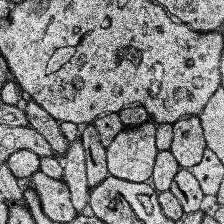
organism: Human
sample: Temporal Lobe